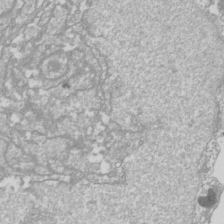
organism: Drosophila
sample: Cell division; meiosis; drosophila spermatocytes